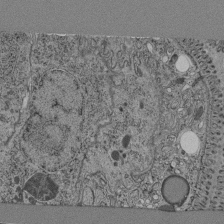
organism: C. elegans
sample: C. elegans pharynx